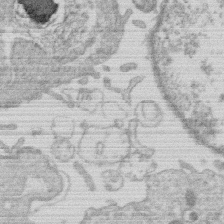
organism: Human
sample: Macrophage cells